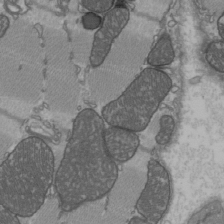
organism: C57BL Mouse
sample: Heart